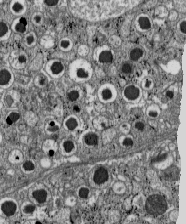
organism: C57BL Mouse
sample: Pancreatic islet